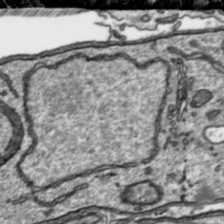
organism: Toxoplasma gondii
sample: Parasites in a vacuole inside a host cell